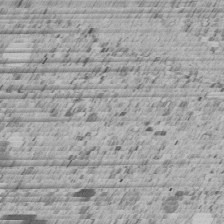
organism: C. elegans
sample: C. elegans embryo early stage